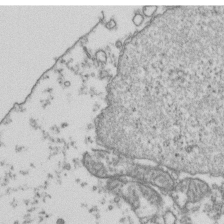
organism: Human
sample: Activated Jurkat CD4+ T cells